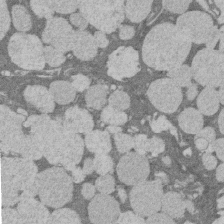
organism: Rat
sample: Salivary granule